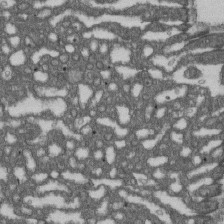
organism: Drosophila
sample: Nephrocyte